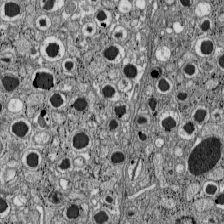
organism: C57BL Mouse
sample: Pancreatic islet